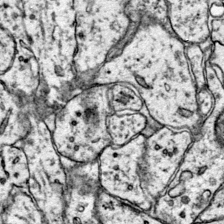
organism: Mouse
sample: Primary visual cortex